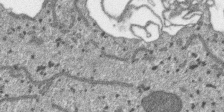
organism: Human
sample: Lung epithelial cells infected with SARS-CoV-2